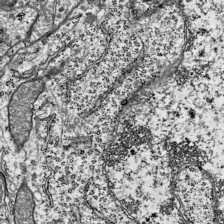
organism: Mouse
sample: Visual Cortex